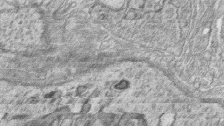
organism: Zebrafish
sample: synaptic ribbons in rod cells and cone cells